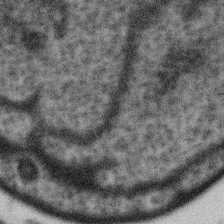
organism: Gemmata obscuriglobus